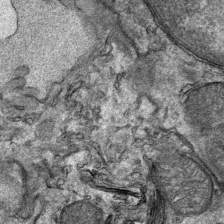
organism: Mouse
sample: Mouse Salivary gland